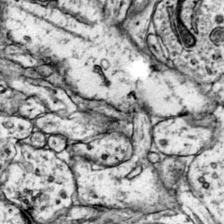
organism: Mouse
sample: Primary visual cortex